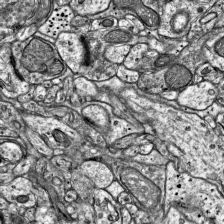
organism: Mouse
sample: Visual Cortex